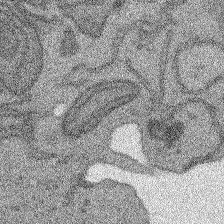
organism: Human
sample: HeLa cells